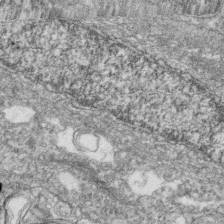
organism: Zebrafish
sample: Cilia; retinal pigment epithelium